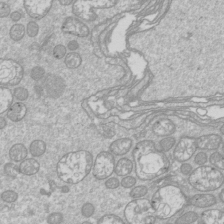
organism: Drosophila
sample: Cell division; meiosis; drosophila spermatocytes